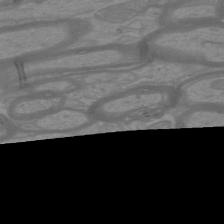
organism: Mouse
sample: Cortical neurons